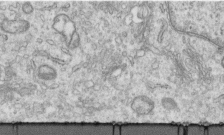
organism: Human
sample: Centriole in RPE cells